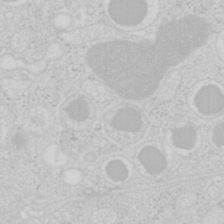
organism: Mouse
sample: Pancreas